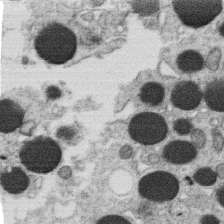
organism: C. elegans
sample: C. elegans oocyte; sperm cells